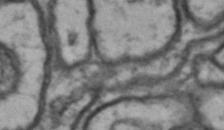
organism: Drosophila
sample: Brain